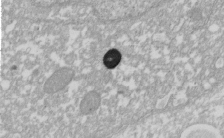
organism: Xenopus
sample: Cilia; centrioles in frog embryo cells